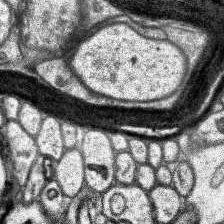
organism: Human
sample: Temporal Lobe